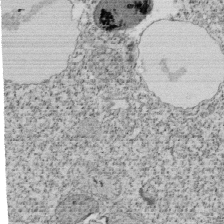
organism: Tetrahymena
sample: Cilia in tetrahymena